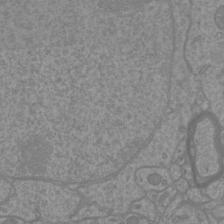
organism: Mouse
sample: Cortical neurons